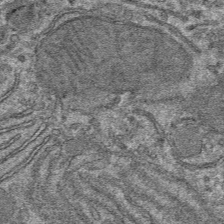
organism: Mouse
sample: Mouse hepatocytes